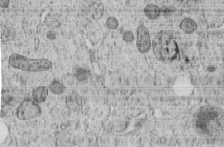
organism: C. elegans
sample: C. elegans embryo early stage